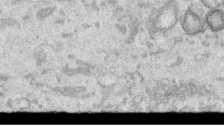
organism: Human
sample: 1205lu cells